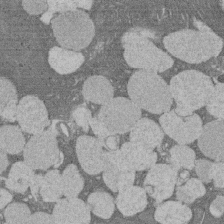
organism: Rat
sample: Salivary granule